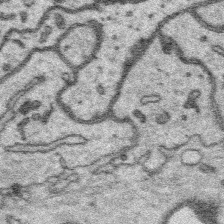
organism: Platynereis dumerilii